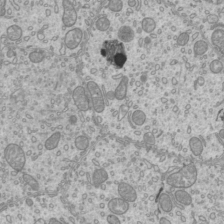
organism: Mouse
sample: Cilia; mouse epididymis